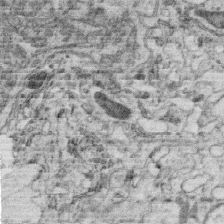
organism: C. elegans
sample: C. elegans oocyte; sperm cells